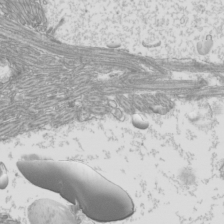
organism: Mouse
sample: Cilia; mouse epididymis